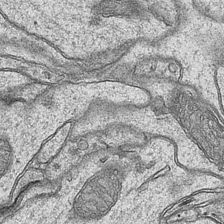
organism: Mouse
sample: CA1 Hippocampus